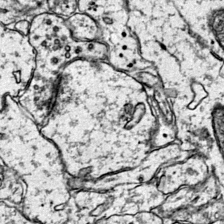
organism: Mouse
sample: Primary visual cortex